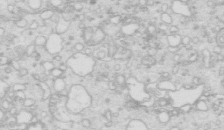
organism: Mouse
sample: Multiciliated cells